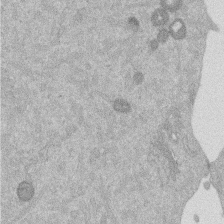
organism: Mouse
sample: Dividing mouse embryo 1 cell stage